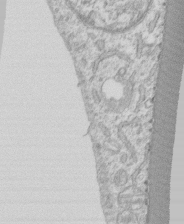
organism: Human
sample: CRL-1474